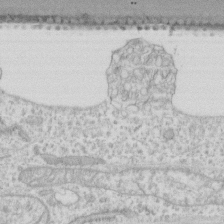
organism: Human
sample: Fibroblast cells